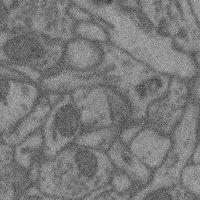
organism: Mouse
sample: Cerebral cortex